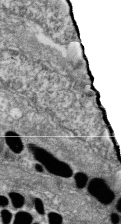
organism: Zebrafish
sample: Cilia; retinal pigment epithelium